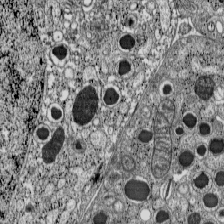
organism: C57BL Mouse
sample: Pancreatic islet